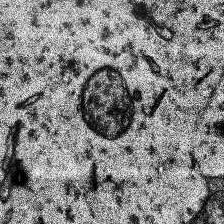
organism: Human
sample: Temporal Lobe